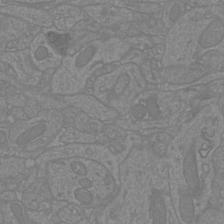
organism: Mouse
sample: Cortical neurons